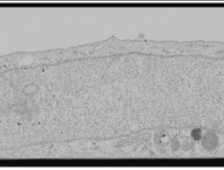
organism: Human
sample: Mitochondria in U2OS cells